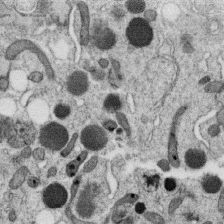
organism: C. elegans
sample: C. elegans oocyte; sperm cells